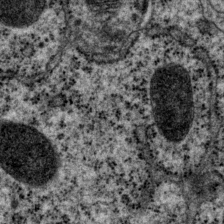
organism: P. pacificus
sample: Pharynx